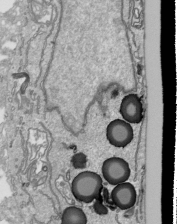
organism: Human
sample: Mitochondria in HCT116 cells